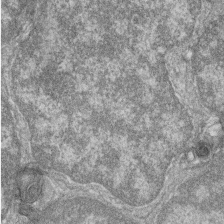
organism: Zebrafish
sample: Cilia; retinal pigment epithelium